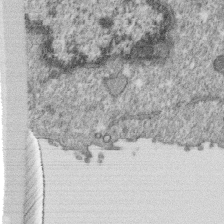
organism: African green monkey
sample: Vero E6 cells infected with SARS-CoV-2